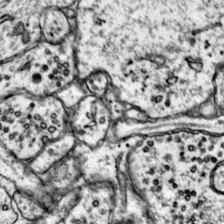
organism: Mouse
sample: Primary visual cortex